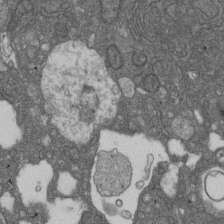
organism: Drosophila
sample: Nephrocyte